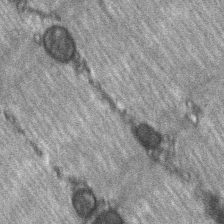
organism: C57BL Mouse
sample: Soleus